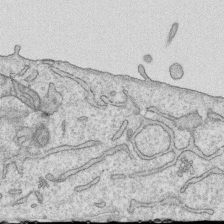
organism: Human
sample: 1205lu cells